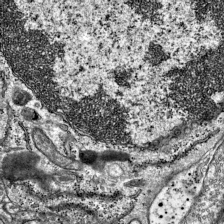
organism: Mouse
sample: Visual Cortex